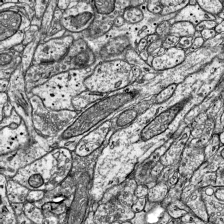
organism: Mouse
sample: Visual Cortex